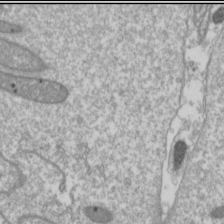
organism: Drosophila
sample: Cell division; meiosis; drosophila spermatocytes